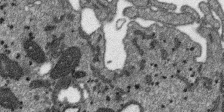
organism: Human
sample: Lung epithelial cells infected with SARS-CoV-2